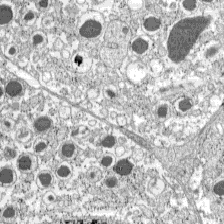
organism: C57BL Mouse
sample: Pancreatic islet